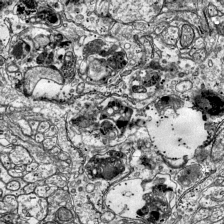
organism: Mouse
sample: Visual Cortex